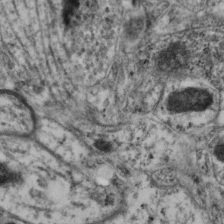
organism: Mouse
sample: Neocortex